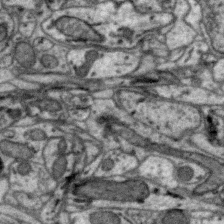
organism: Zebra finch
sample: Brain